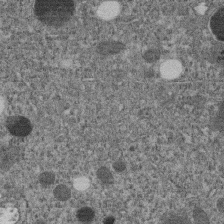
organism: C. elegans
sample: C. elegans embryo early stage